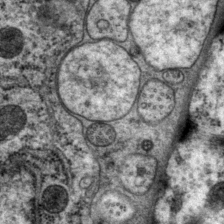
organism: P. pacificus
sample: Pharynx